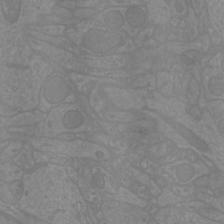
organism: Mouse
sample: Cortical neurons